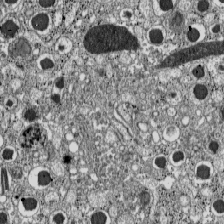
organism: C57BL Mouse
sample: Pancreatic islet